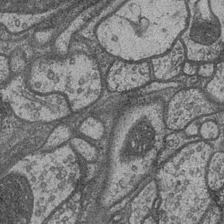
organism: Drosophila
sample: Optic medulla